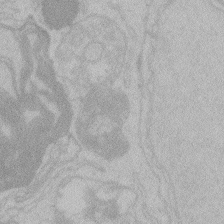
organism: Zebrafish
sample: Macrophage infected with Toxoplasma gondii